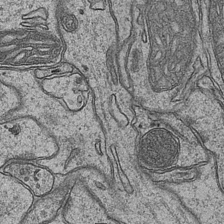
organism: Mouse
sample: CA1 Hippocampus